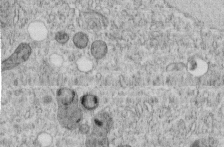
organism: C. elegans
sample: C. elegans embryo early stage